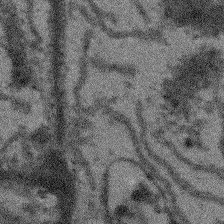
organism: Arabidopsis thaliana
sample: Root tip